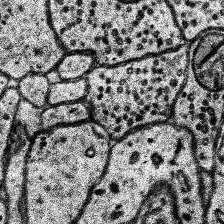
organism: Human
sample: Temporal Lobe